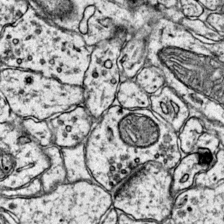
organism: Mouse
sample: Primary visual cortex